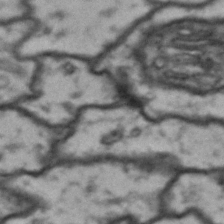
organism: Drosophila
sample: Brain